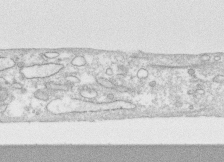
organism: Human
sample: CRL-1474